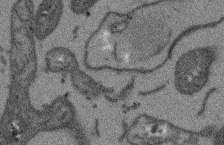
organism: Arabidopsis thaliana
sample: Root tip